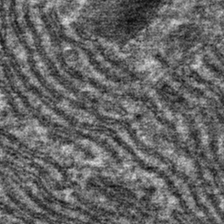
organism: Mouse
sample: Mouse hepatocytes